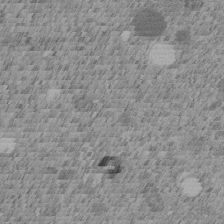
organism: C. elegans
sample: C. elegans embryo early stage